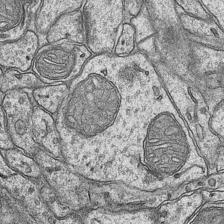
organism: Mouse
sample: CA1 Hippocampus